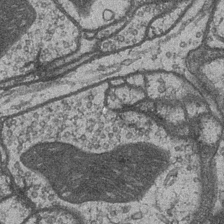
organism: Drosophila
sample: Optic medulla